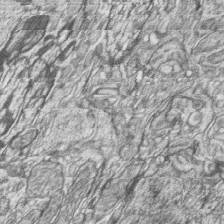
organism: Zebrafish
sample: synaptic ribbons in rod cells and cone cells